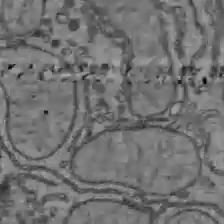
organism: C57BL Mouse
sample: Liver